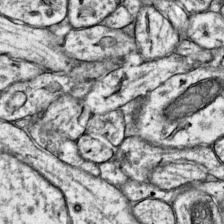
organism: Mouse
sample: Primary visual cortex